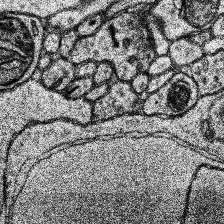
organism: Human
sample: Temporal Lobe